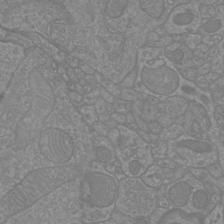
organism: Mouse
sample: Cortical neurons